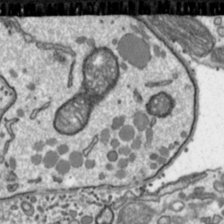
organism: Toxoplasma gondii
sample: Parasites in a vacuole inside a host cell